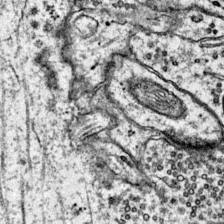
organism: Mouse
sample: Primary visual cortex